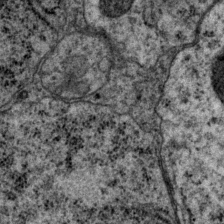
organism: P. pacificus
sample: Pharynx